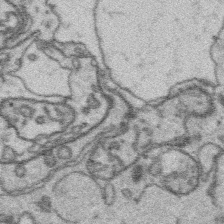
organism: Platynereis dumerilii